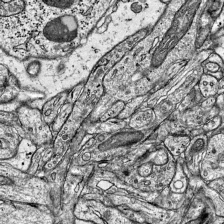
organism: Mouse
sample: Visual Cortex